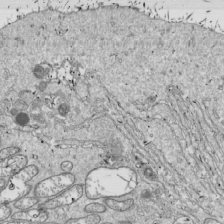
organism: Drosophila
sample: Cell division; meiosis; drosophila spermatocytes